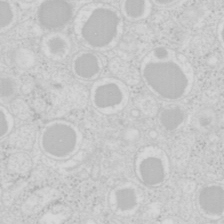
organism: Mouse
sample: Pancreas